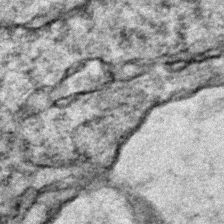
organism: Zebrafish